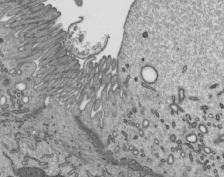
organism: Mouse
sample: Mouse epididymis efferent ductule cilia